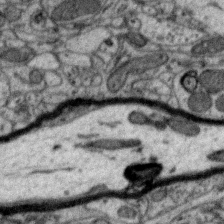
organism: Zebra finch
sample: Brain